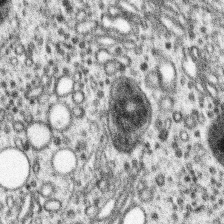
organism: Human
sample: HeLa cells